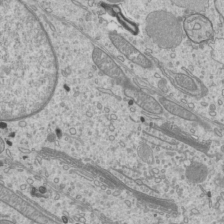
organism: Mouse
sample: Cilia; mouse epididymis